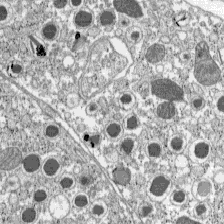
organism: C57BL Mouse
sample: Pancreatic islet